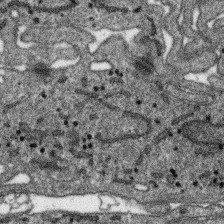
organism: Human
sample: Lung epithelial cells infected with SARS-CoV-2